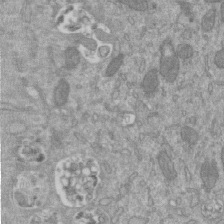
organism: Mouse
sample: ED-1 cell nuclei; centrioles